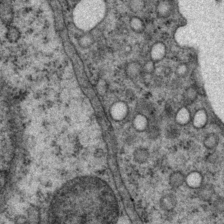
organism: P. pacificus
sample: Pharynx